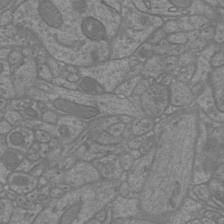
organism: Mouse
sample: Cortical neurons